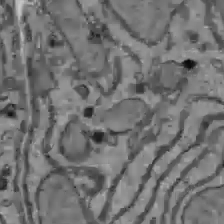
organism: C57BL Mouse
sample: Liver